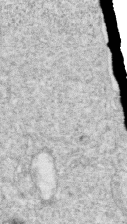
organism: Human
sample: HeLa cell HIV synapse